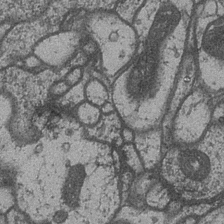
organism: Drosophila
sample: Optic medulla